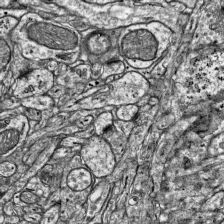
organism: Mouse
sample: Visual Cortex